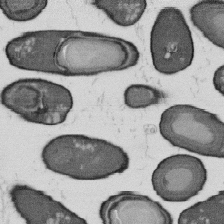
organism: B. subtilis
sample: Bacterial spore